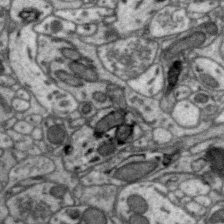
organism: Zebra finch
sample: Brain